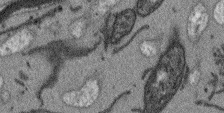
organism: Arabidopsis thaliana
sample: Root tip